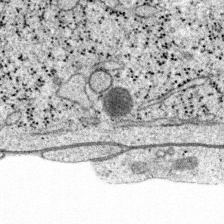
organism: Human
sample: HeLa cells